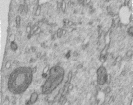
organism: Human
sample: Centriole in RPE cells